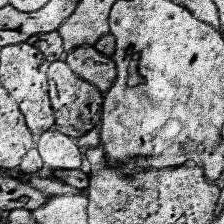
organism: Human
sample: Temporal Lobe